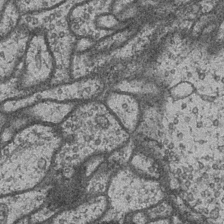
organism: Drosophila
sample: Optic medulla